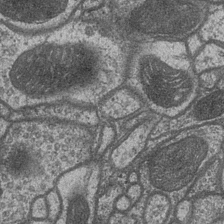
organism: Drosophila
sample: Optic medulla